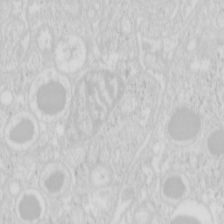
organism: Mouse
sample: Pancreas